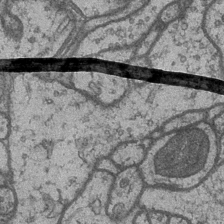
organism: Drosophila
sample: Optic medulla